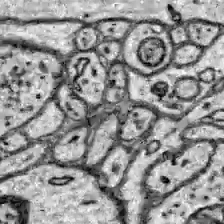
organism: Zebrafish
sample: Brain